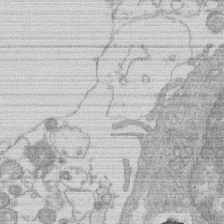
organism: Human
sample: Macrophage cells